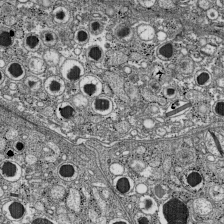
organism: C57BL Mouse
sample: Pancreatic islet